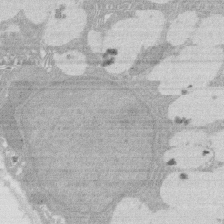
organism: Rat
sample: Salivary granule